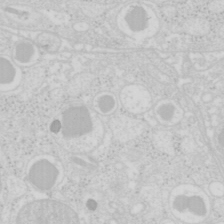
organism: Mouse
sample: Pancreas